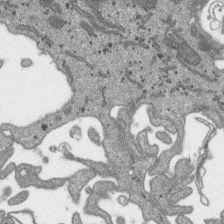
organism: Human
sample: Lung epithelial cells infected with SARS-CoV-2